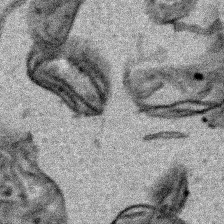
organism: Human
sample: Mitochondria in HCT116 cells